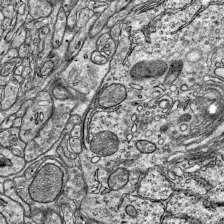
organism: Mouse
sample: Visual Cortex